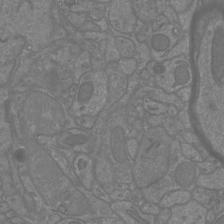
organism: Mouse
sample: Cortical neurons